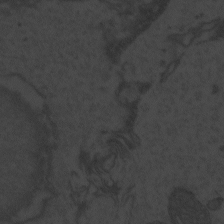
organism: Zebrafish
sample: Macrophage infected with Toxoplasma gondii